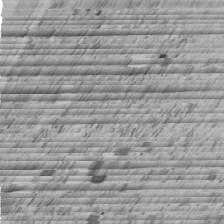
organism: C. elegans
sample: C. elegans embryo early stage